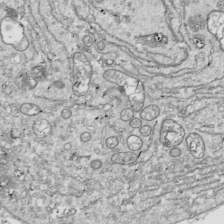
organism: Drosophila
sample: Cell division; meiosis; drosophila spermatocytes